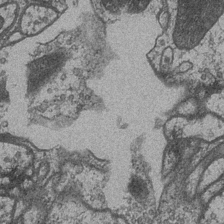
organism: Drosophila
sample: Optic medulla